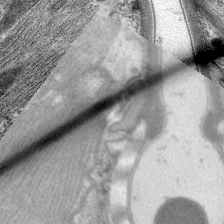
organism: C. elegans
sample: Pharynx